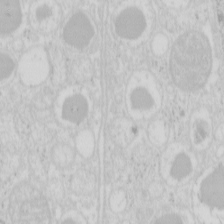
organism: Mouse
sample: Pancreas